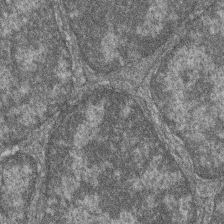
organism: Zebrafish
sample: Cilia; retinal pigment epithelium